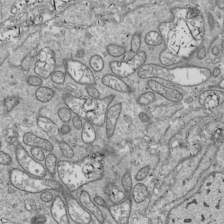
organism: Drosophila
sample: Cell division; meiosis; drosophila spermatocytes